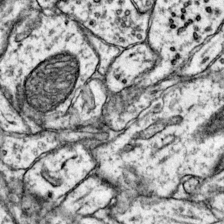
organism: Mouse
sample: Primary visual cortex